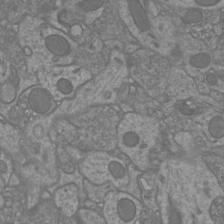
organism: Mouse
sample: Cortical neurons